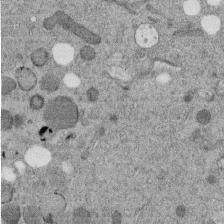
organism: C. elegans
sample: C. elegans embryo early stage